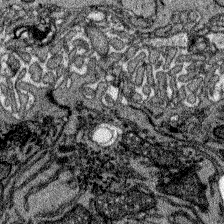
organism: Zebrafish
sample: Larval olfactory bulb